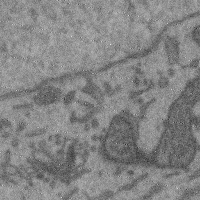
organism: Mouse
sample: Cerebral cortex